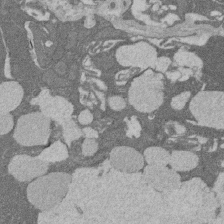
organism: Rat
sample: Salivary granule